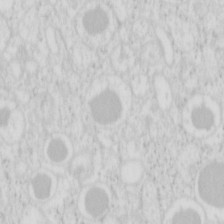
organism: Mouse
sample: Pancreas